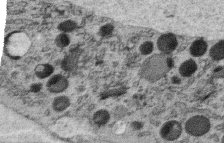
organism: C. elegans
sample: C. elegans oocyte; sperm cells